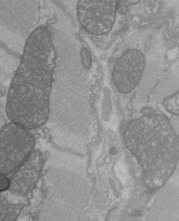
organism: C57BL Mouse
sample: Heart